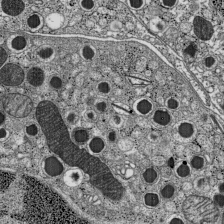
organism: C57BL Mouse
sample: Pancreatic islet